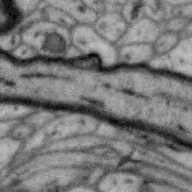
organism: Zebra finch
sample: Brain